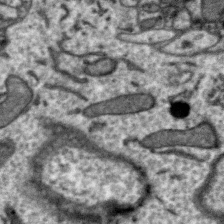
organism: Zebra finch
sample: Brain